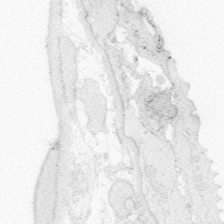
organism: Zebrafish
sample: Whole-Brain